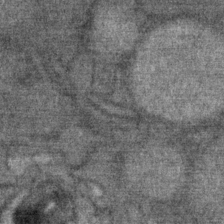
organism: Mouse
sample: Mouse Salivary gland